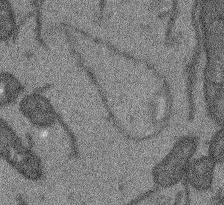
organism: Arabidopsis thaliana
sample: Root tip